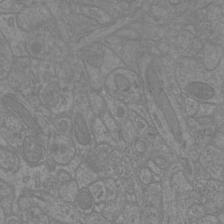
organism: Mouse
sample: Cortical neurons